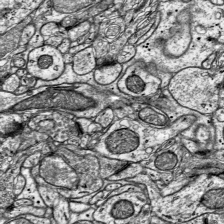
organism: Mouse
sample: Visual Cortex